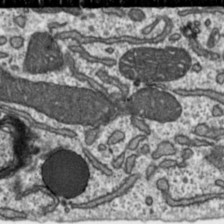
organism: Toxoplasma gondii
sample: Parasites in a vacuole inside a host cell